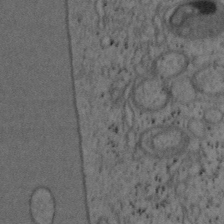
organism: Human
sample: HeLa cells